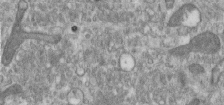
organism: Human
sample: Centriole in RPE cells